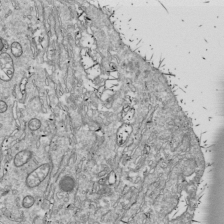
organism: Drosophila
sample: Cell division; meiosis; drosophila spermatocytes